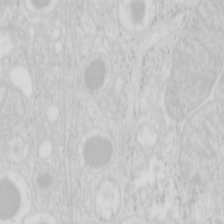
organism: Mouse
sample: Pancreas